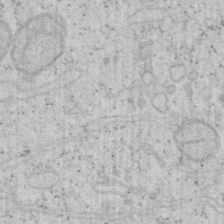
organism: Human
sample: HeLa cells